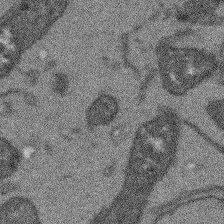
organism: Arabidopsis thaliana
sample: Root tip